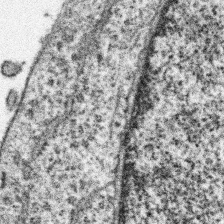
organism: Human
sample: HeLa cells